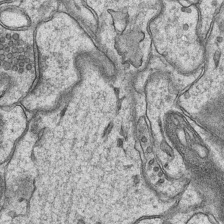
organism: Mouse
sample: CA1 Hippocampus